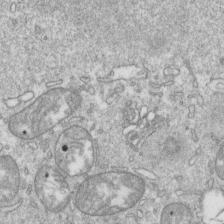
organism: Mouse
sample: Activated OT-1 CD8+ T cells